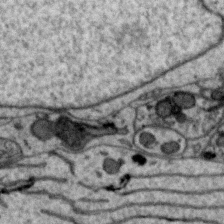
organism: Zebra finch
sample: Brain